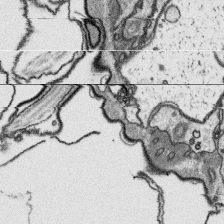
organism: Platynereis dumerilii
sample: Parapodia